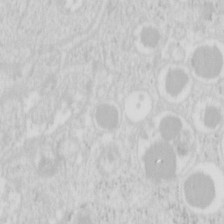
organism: Mouse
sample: Pancreas